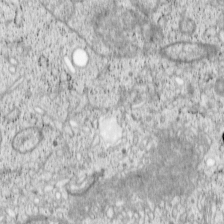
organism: African green monkey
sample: COS-7 cells